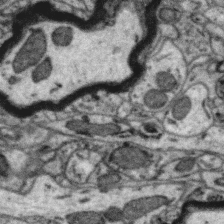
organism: Zebra finch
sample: Brain